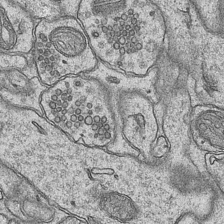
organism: Mouse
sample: CA1 Hippocampus